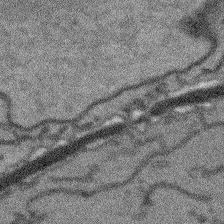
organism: Arabidopsis thaliana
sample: Root tip